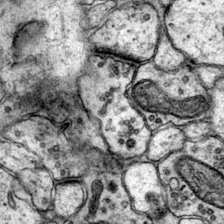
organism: Mouse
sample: Primary visual cortex